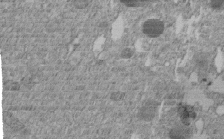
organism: C. elegans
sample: C. elegans embryo early stage